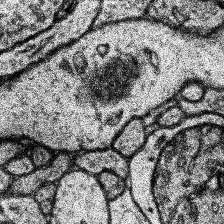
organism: Human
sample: Temporal Lobe